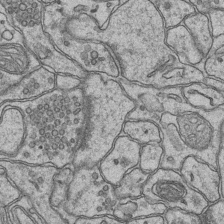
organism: Mouse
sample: CA1 Hippocampus